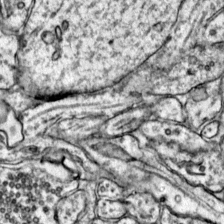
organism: Mouse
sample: Primary visual cortex